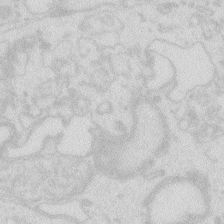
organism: Zebrafish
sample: Macrophage